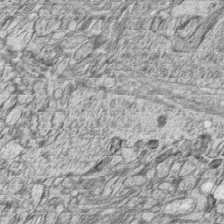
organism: Zebrafish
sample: synaptic ribbons in rod cells and cone cells